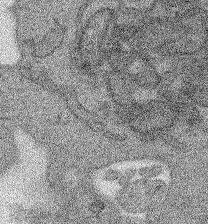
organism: Human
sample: HeLa cells